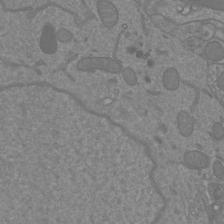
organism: Mouse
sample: Cortical neurons